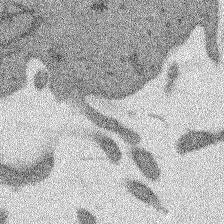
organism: Human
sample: HeLa cells